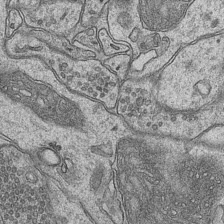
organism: Mouse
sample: CA1 Hippocampus